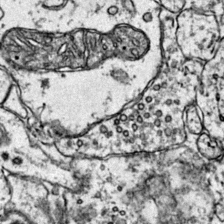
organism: Mouse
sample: Primary visual cortex